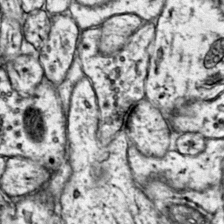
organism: Mouse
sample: Primary visual cortex